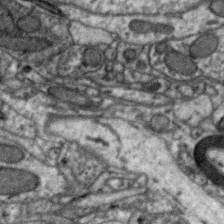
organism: Zebra finch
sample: Brain